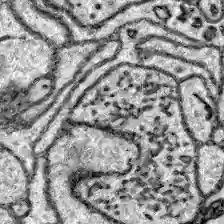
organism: Zebrafish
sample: Brain